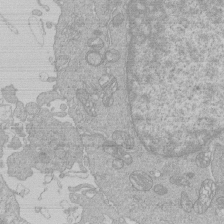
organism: Human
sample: Macrophage cells